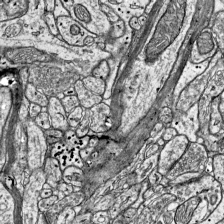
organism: Mouse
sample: Visual Cortex